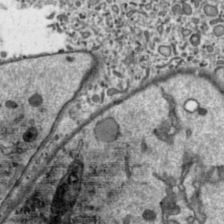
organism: Toxoplasma gondii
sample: Parasites in a vacuole inside a host cell